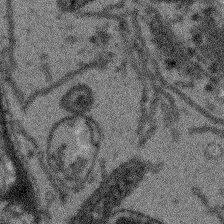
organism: Arabidopsis thaliana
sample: Root tip